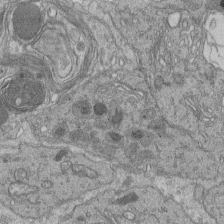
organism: Human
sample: Retinal organoid Rod and Cone cells